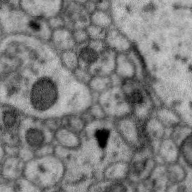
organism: Zebra finch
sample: Brain